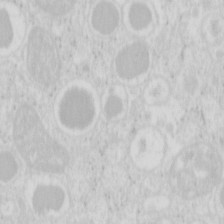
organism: Mouse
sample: Pancreas